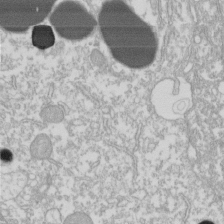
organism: Xenopus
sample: Cilia; centrioles in frog embryo cells